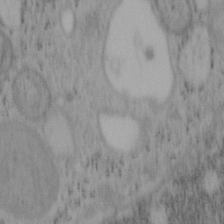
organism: Mouse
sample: OT-I killer T cells with ID8 ovarian cancer cells